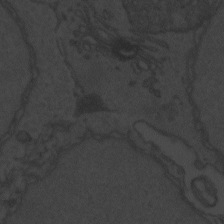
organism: Zebrafish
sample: Macrophage infected with Toxoplasma gondii